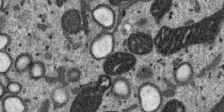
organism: Human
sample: Lung epithelial cells infected with SARS-CoV-2